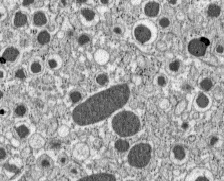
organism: C57BL Mouse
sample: Pancreatic islet